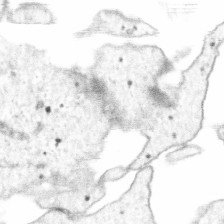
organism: Human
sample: HeLa cells